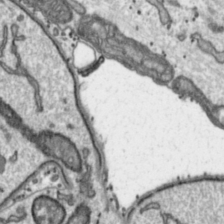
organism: Toxoplasma gondii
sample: Parasites in a vacuole inside a host cell